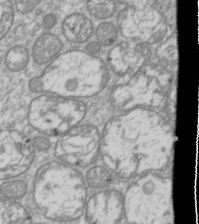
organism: Drosophila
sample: Cell division; meiosis; drosophila spermatocytes